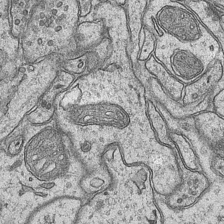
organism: Mouse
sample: CA1 Hippocampus